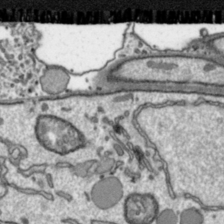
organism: Toxoplasma gondii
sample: Parasites in a vacuole inside a host cell